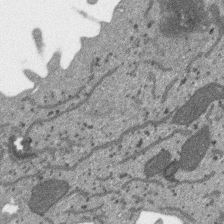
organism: Human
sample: Lung epithelial cells infected with SARS-CoV-2